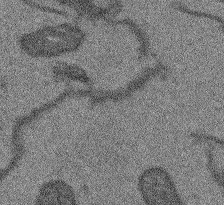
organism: Arabidopsis thaliana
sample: Root tip